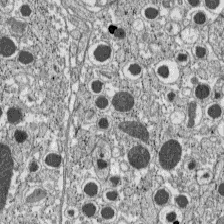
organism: C57BL Mouse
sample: Pancreatic islet